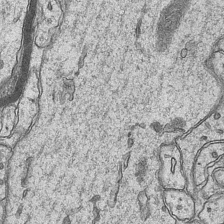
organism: Mouse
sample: CA1 Hippocampus